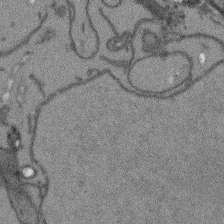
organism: Arabidopsis thaliana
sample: Root tip